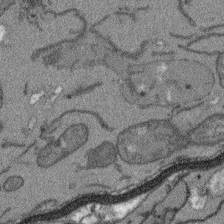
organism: Arabidopsis thaliana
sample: Root tip